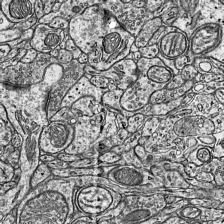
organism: Mouse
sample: Visual Cortex